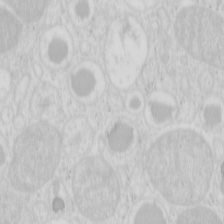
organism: Mouse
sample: Pancreas